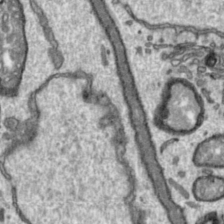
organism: Toxoplasma gondii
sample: Parasites in a vacuole inside a host cell